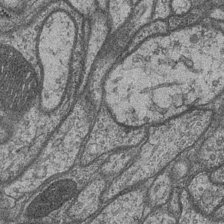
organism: Drosophila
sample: Optic medulla